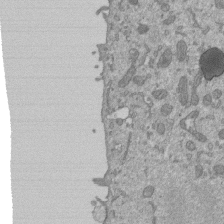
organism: Mouse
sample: ED-1 cell nuclei; centrioles